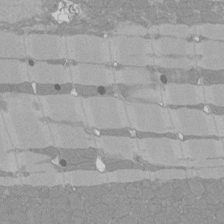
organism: Rat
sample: Left ventricle